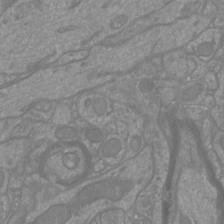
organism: Mouse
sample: Cortical neurons